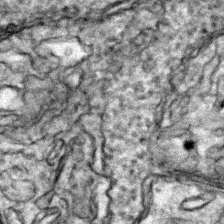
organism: Zebrafish